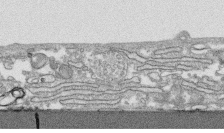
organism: Human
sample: CRL-1474